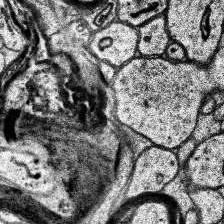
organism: Human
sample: Temporal Lobe